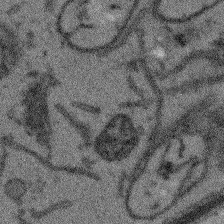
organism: Arabidopsis thaliana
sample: Root tip